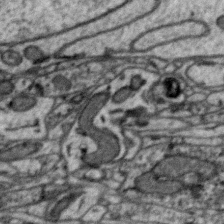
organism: Zebra finch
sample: Brain